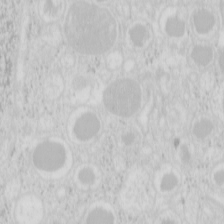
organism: Mouse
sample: Pancreas